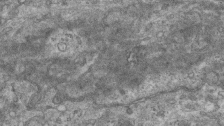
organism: Mouse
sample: Centriole in ependymal cells